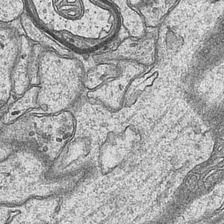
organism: Mouse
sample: CA1 Hippocampus